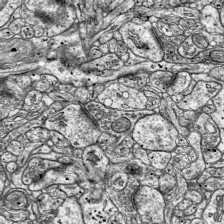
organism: Mouse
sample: Visual Cortex